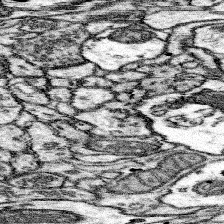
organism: Mouse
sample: Somatosensory cortex neuropil